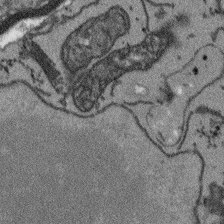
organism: Arabidopsis thaliana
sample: Root tip